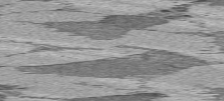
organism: C57BL Mouse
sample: Heart